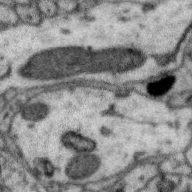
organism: Zebra finch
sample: Brain